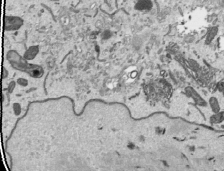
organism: Human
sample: Mitochondria in HCT116 cells